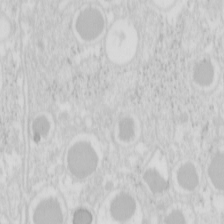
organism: Mouse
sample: Pancreas